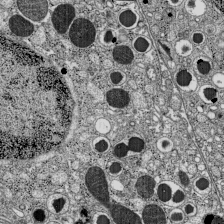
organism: C57BL Mouse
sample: Pancreatic islet